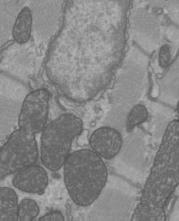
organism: C57BL Mouse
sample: Heart